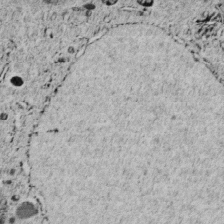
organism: C. elegans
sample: C. elegans embryo early stage